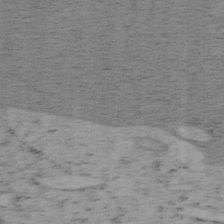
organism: Mouse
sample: OT-I killer T cells with ID8 ovarian cancer cells